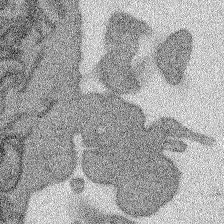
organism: Human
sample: HeLa cells